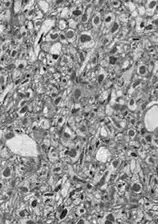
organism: Drosophila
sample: Optic lobe